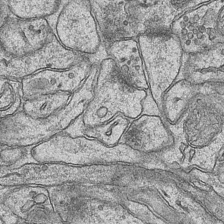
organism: Mouse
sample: CA1 Hippocampus